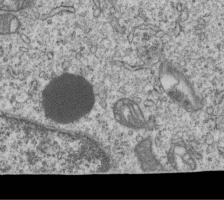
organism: Human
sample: MDA-MB-231 cells